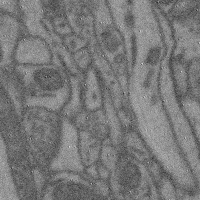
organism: Mouse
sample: Cerebral cortex